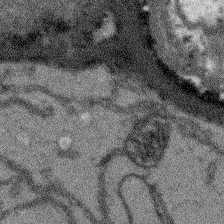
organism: Arabidopsis thaliana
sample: Root tip